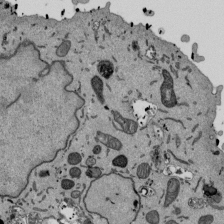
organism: Mouse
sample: ED-1 cell nuclei; centrioles